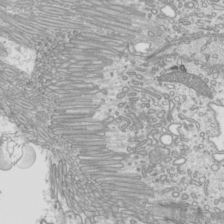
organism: Mouse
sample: Cilia; mouse epididymis